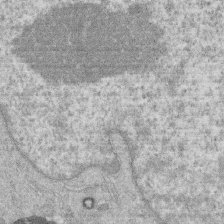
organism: Human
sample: Macrophage cells